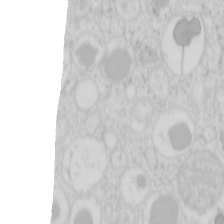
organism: Mouse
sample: Pancreas